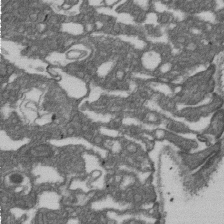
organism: Drosophila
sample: Nephrocyte